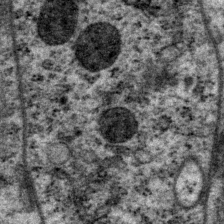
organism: P. pacificus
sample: Pharynx